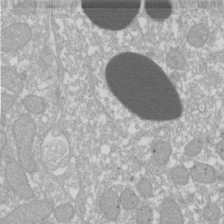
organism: Xenopus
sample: Cilia; centrioles in frog embryo cells